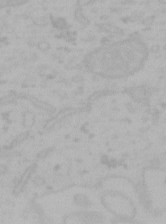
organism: Mouse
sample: Choroid plexus